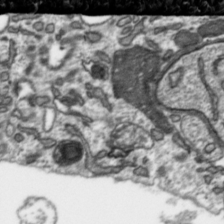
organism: Toxoplasma gondii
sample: Parasites in a vacuole inside a host cell